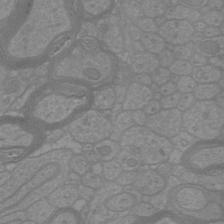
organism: Mouse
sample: Cortical neurons